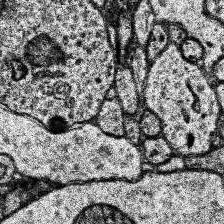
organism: Human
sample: Temporal Lobe